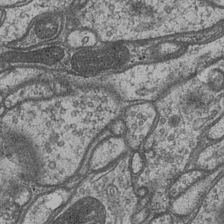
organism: Drosophila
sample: Optic medulla